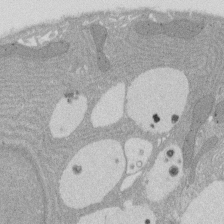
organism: Rat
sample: Salivary granule